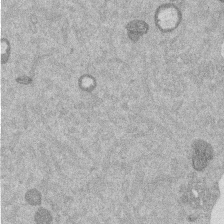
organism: Mouse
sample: Dividing mouse embryo 1 cell stage